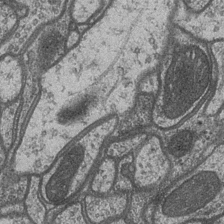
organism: Drosophila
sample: Optic medulla